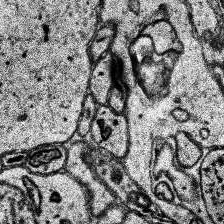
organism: Human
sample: Temporal Lobe